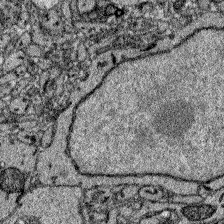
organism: Zebrafish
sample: Larval olfactory bulb